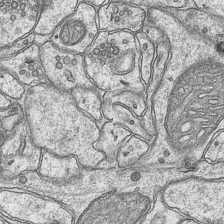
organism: Mouse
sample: CA1 Hippocampus